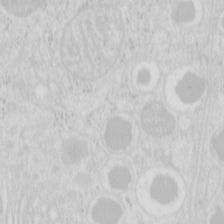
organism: Mouse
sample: Pancreas